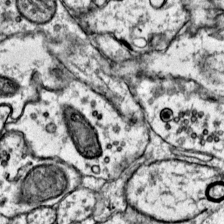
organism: Mouse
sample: Primary visual cortex